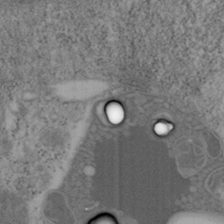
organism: Mouse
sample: OT-I killer T cells with ID8 ovarian cancer cells